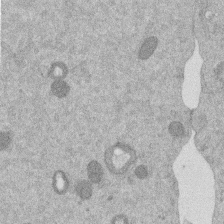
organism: Mouse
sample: Dividing mouse embryo 1 cell stage